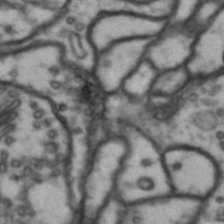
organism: Drosophila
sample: Brain